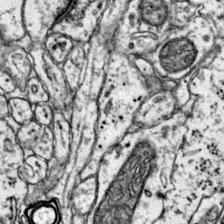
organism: Mouse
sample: Primary visual cortex